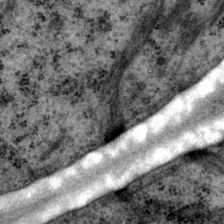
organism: P. pacificus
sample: Pharynx